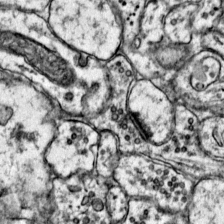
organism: Mouse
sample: Primary visual cortex